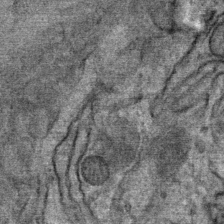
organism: Mouse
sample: Mouse Salivary gland